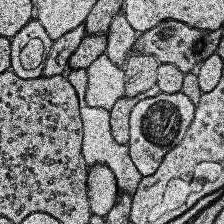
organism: Human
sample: Temporal Lobe